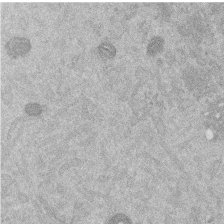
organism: Mouse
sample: Dividing mouse embryo 1 cell stage